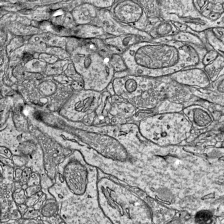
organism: Mouse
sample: Visual Cortex